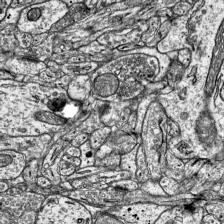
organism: Mouse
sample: Visual Cortex